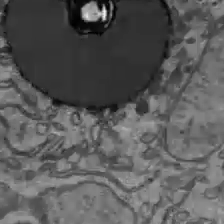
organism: C57BL Mouse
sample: Liver